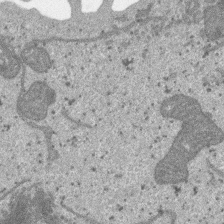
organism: Human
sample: Lung epithelial cells infected with SARS-CoV-2